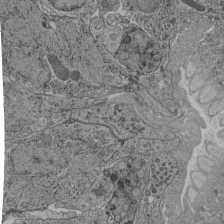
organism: C. elegans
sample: C. elegans pharynx